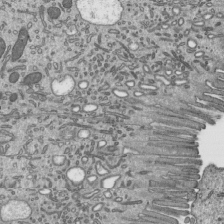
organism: Mouse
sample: Mouse epididymis efferent ductule cilia